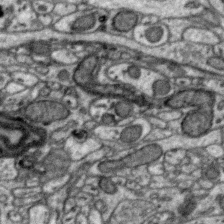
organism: Zebra finch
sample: Brain